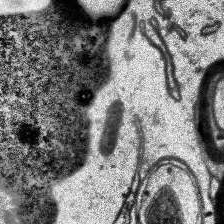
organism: Human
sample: Temporal Lobe